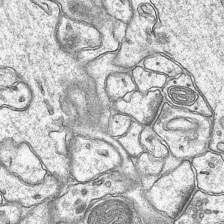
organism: Mouse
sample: CA1 Hippocampus